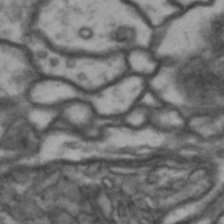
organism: Drosophila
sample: Brain